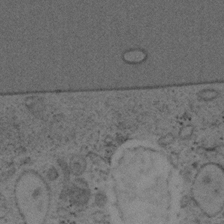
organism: Human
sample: HeLa cells